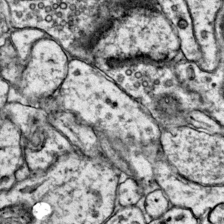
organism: Mouse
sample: Primary visual cortex